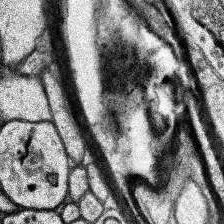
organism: Human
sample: Temporal Lobe